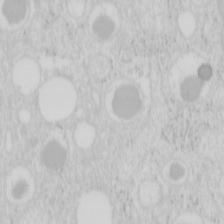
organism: Mouse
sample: Pancreas